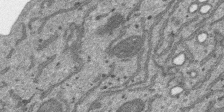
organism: Human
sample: Lung epithelial cells infected with SARS-CoV-2